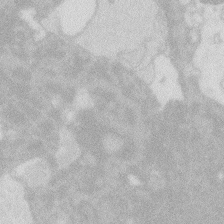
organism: Zebrafish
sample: Macrophage